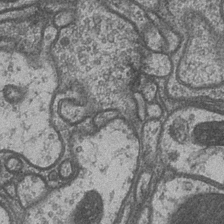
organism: Drosophila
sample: Optic medulla